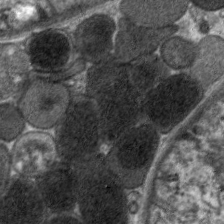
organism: C. elegans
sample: Pharynx